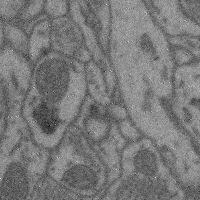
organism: Mouse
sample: Cerebral cortex